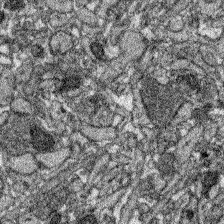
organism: Zebrafish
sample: Larval olfactory bulb